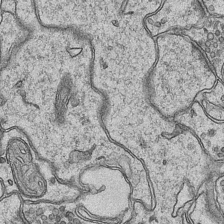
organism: Mouse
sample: CA1 Hippocampus